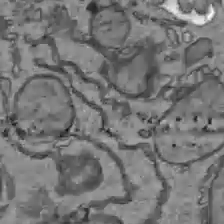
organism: C57BL Mouse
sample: Liver